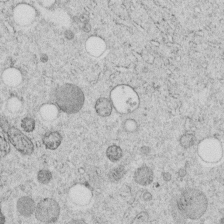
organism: C. elegans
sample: C. elegans embryo early stage